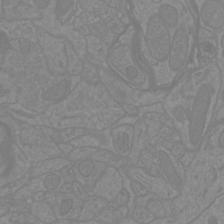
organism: Mouse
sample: Cortical neurons